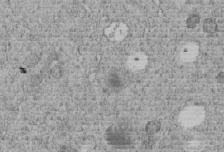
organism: C. elegans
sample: C. elegans embryo early stage